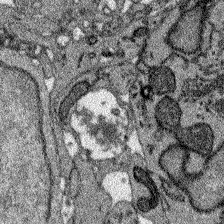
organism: Zebrafish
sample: Larval olfactory bulb